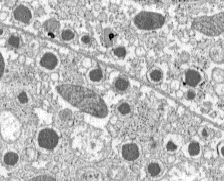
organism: C57BL Mouse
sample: Pancreatic islet